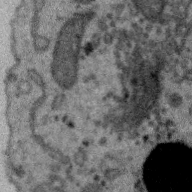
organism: Zebra finch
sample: Brain